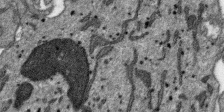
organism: Human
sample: Lung epithelial cells, uninfected (mock) control